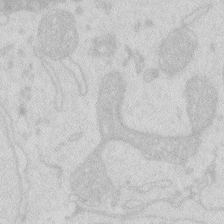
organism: Zebrafish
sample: Macrophage